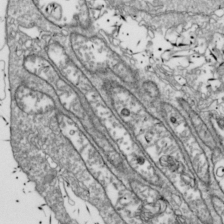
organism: Drosophila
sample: Cell division; meiosis; drosophila spermatocytes